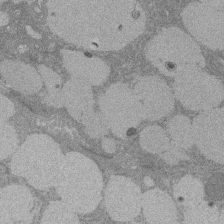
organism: Rat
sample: Salivary granule